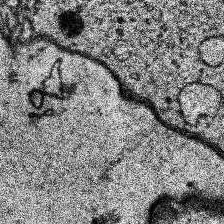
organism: Human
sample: Temporal Lobe